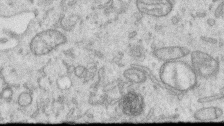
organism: Human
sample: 1205lu cells